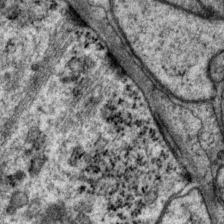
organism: P. pacificus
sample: Pharynx